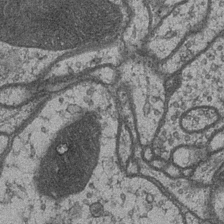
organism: Drosophila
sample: Optic medulla